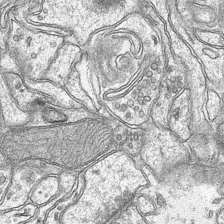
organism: Mouse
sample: CA1 Hippocampus